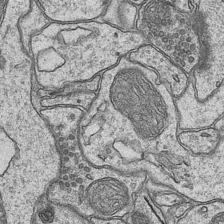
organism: Mouse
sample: CA1 Hippocampus